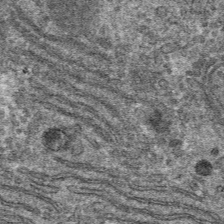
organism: Mouse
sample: Mouse hepatocytes